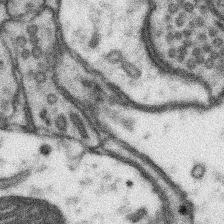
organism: Mouse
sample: Somatosensory cortex neuropil